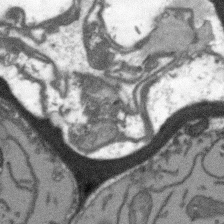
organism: Arabidopsis thaliana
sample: Root tip